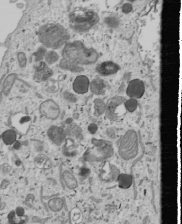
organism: Human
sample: Mitochondria in U2OS cells